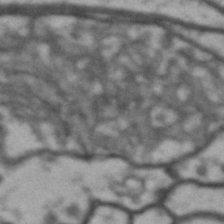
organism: Drosophila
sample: Brain